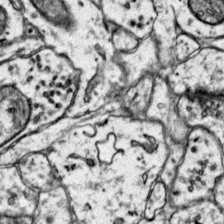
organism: Mouse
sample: Primary visual cortex